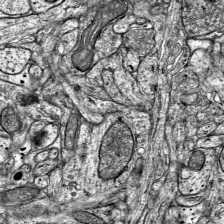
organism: Mouse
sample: Visual Cortex